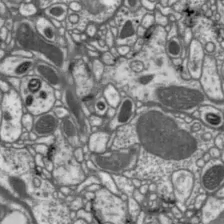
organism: Drosophila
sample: Protocerebral bridge